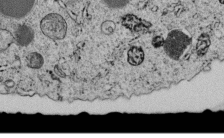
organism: C. elegans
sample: C. elegans embryo early stage